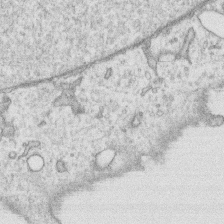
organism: Human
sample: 1205lu cells